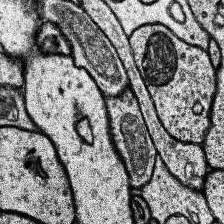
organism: Human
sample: Temporal Lobe